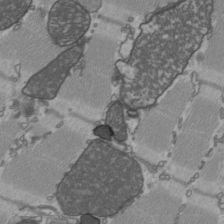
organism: C57BL Mouse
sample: Heart